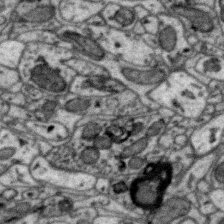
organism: Zebra finch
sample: Brain